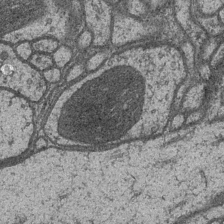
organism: Drosophila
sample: Optic medulla